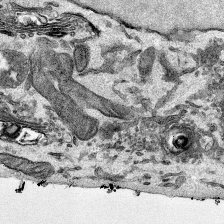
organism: Mouse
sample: Cancer cell death in ED-1 cells